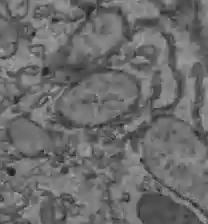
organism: C57BL Mouse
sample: Liver